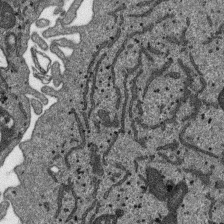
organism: Human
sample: Lung epithelial cells infected with SARS-CoV-2